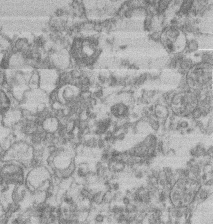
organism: Mouse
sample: T cell stromal cell synapse